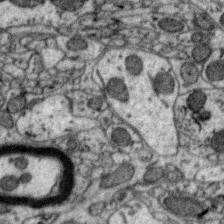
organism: Zebra finch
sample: Brain